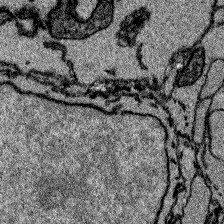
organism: Zebrafish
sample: Larval olfactory bulb